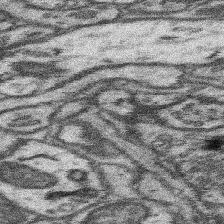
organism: Mouse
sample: Somatosensory cortex neuropil